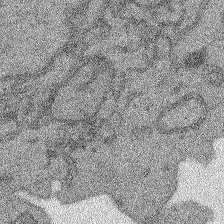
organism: Human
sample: HeLa cells